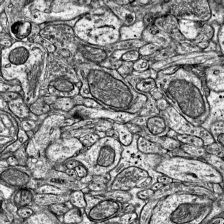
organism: Mouse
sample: Visual Cortex